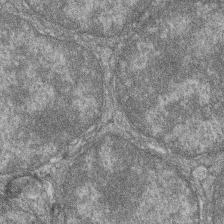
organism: Zebrafish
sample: Cilia; retinal pigment epithelium